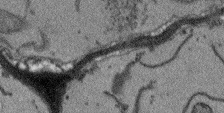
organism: Arabidopsis thaliana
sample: Root tip